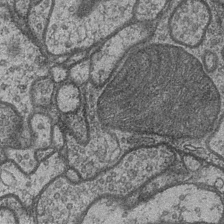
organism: Drosophila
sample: Optic medulla